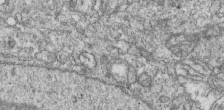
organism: Human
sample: HeLa cell HIV synapse